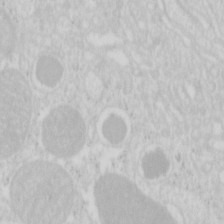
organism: Mouse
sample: Pancreas